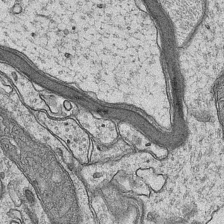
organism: Mouse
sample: CA1 Hippocampus